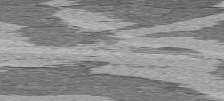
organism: C57BL Mouse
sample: Heart